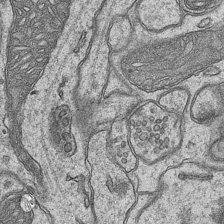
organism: Mouse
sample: CA1 Hippocampus